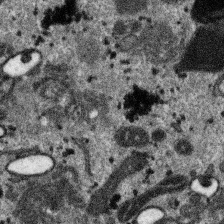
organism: Human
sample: Lung epithelial cells infected with SARS-CoV-2